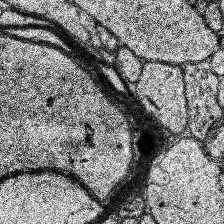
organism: Human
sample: Temporal Lobe